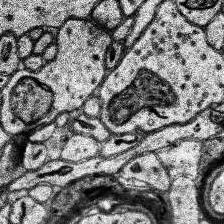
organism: Human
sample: Temporal Lobe